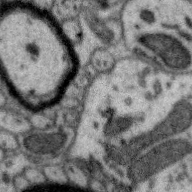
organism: Zebra finch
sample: Brain